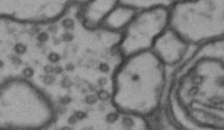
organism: Drosophila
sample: Brain